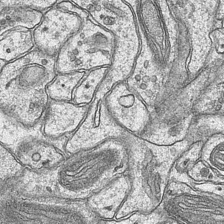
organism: Mouse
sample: CA1 Hippocampus